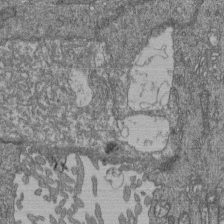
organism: Human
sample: Retinal organoid Rod and Cone cells